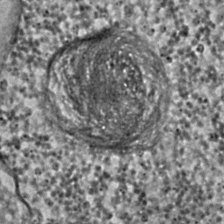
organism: C. elegans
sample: C. elegans embryo